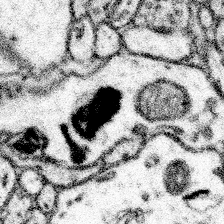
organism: Mouse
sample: Somatosensory cortex neuropil